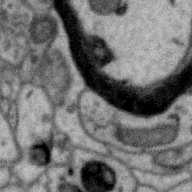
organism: Zebra finch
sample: Brain